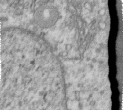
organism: Human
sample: Centriole in RPE cells